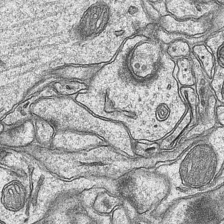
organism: Mouse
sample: CA1 Hippocampus